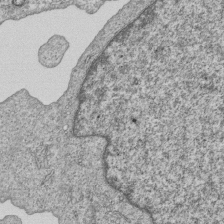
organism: Human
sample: MDA-MB-231 cells